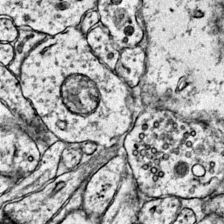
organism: Mouse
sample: Primary visual cortex